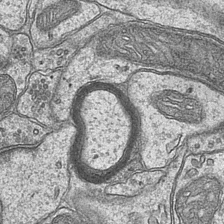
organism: Mouse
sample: CA1 Hippocampus